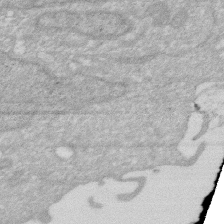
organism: Human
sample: HIV infected U937 cells